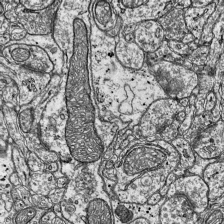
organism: Mouse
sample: Visual Cortex